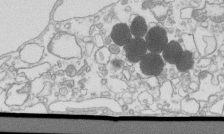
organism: Mouse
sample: Macrophages